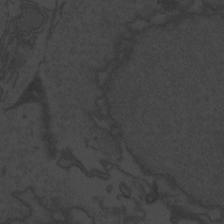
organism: Zebrafish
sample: Macrophage infected with Toxoplasma gondii